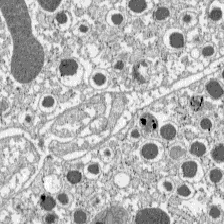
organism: C57BL Mouse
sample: Pancreatic islet